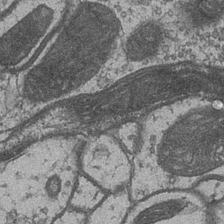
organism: Drosophila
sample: Optic medulla